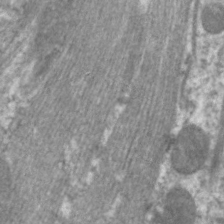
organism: C. elegans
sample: Pharynx